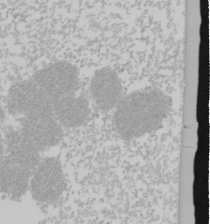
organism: Mouse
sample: Cancer cell death in ED-1 cells